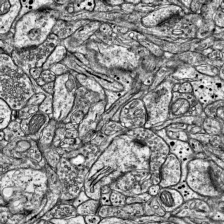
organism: Mouse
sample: Visual Cortex